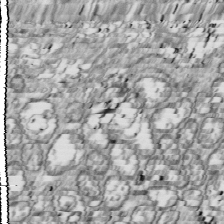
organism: Drosophila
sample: Cell division; meiosis; drosophila spermatocytes